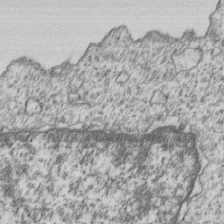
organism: Human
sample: MDA-MB-231 cells